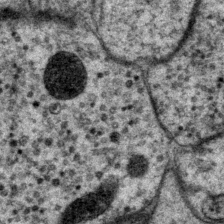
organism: P. pacificus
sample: Pharynx